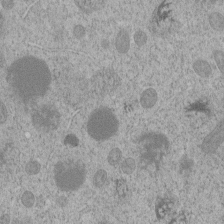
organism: C. elegans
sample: C. elegans embryo early stage